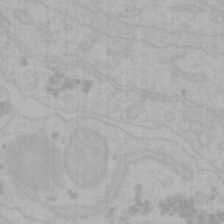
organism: Mouse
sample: Choroid plexus